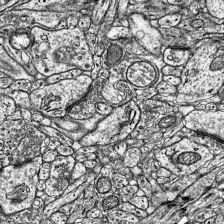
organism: Mouse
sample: Visual Cortex